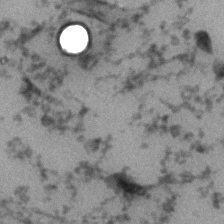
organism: Zebrafish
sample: Zebrafish embryo